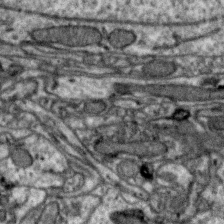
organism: Zebra finch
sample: Brain